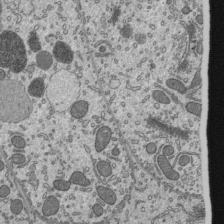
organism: Mouse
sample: Mouse epididymis efferent ductule cilia